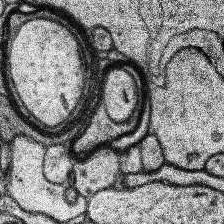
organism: Human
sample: Temporal Lobe